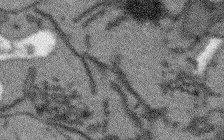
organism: Arabidopsis thaliana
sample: Root tip